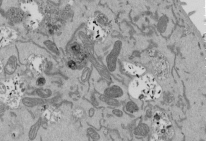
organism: Mouse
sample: ED-1 cell nuclei; centrioles